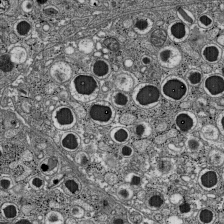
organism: C57BL Mouse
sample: Pancreatic islet